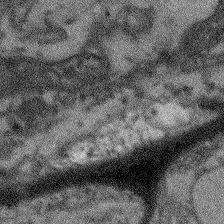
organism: Arabidopsis thaliana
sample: Root tip